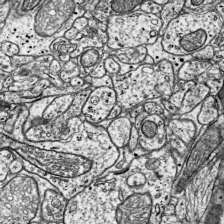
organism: Mouse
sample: Visual Cortex